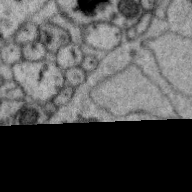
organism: Zebra finch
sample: Brain